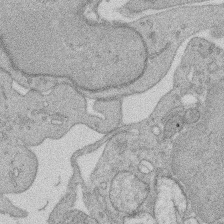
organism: Rat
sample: Salivary granule